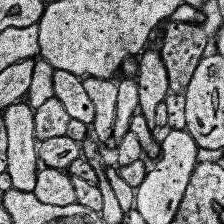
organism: Human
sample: Temporal Lobe